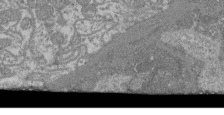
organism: Mouse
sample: Glomerulus